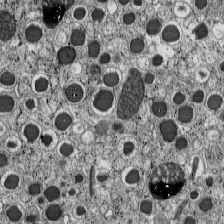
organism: C57BL Mouse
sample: Pancreatic islet